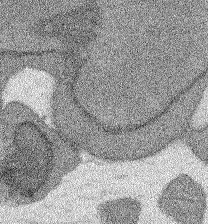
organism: Human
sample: HeLa cells